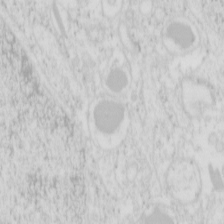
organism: Mouse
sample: Pancreas